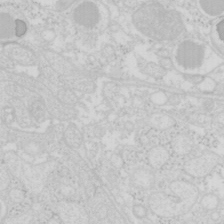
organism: Mouse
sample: Pancreas